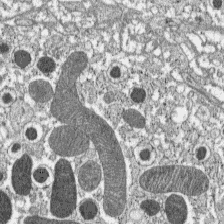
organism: C57BL Mouse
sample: Pancreatic islet